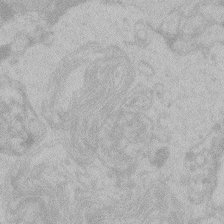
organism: Zebrafish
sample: Macrophage infected with Toxoplasma gondii